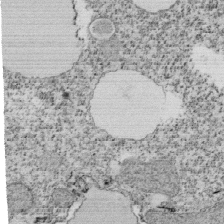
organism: Tetrahymena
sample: Cilia in tetrahymena